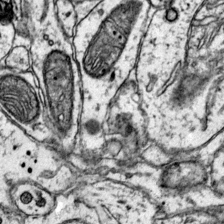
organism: Mouse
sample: Primary visual cortex